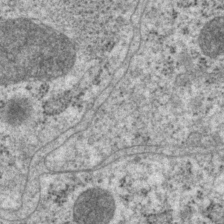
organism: P. pacificus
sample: Pharynx